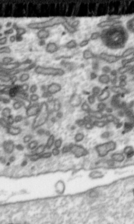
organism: Toxoplasma gondii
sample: Parasites in a vacuole inside a host cell